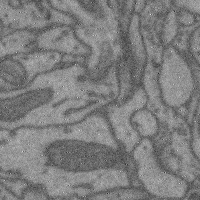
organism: Mouse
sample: Cerebral cortex